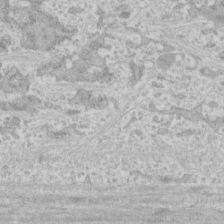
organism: Human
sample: CRL-1474